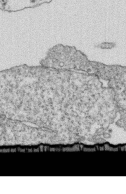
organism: Human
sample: HeLa cell HIV synapse